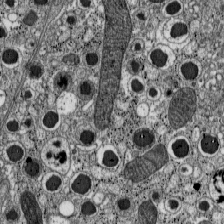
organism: C57BL Mouse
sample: Pancreatic islet